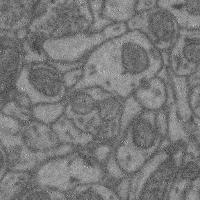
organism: Mouse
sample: Cerebral cortex